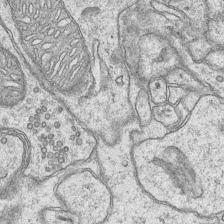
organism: Mouse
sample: CA1 Hippocampus